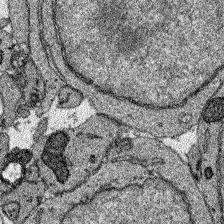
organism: Zebrafish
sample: Larval olfactory bulb